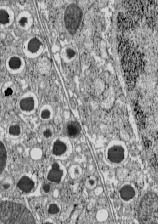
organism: C57BL Mouse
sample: Pancreatic islet